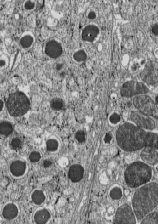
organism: C57BL Mouse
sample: Pancreatic islet